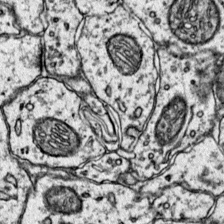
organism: Mouse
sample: Primary visual cortex